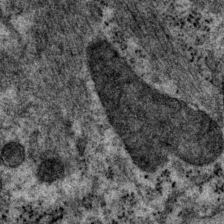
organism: P. pacificus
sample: Pharynx